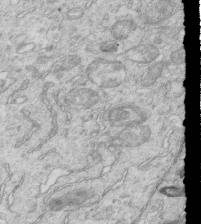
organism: Mouse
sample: Multiciliated cells